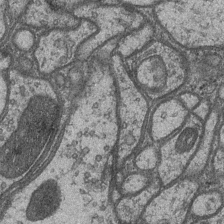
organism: Drosophila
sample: Optic medulla